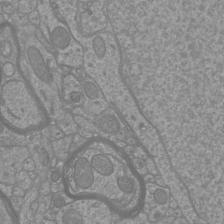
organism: Mouse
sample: Cortical neurons